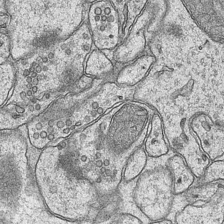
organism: Mouse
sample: CA1 Hippocampus